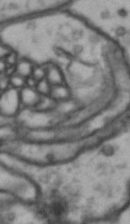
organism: Drosophila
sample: Brain